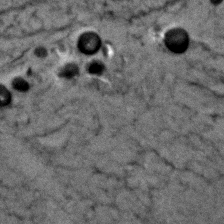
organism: Zebrafish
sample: Zebrafish embryo